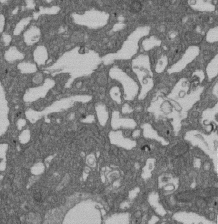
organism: Drosophila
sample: Nephrocyte